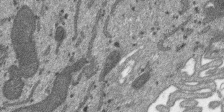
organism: Human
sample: Lung epithelial cells infected with SARS-CoV-2